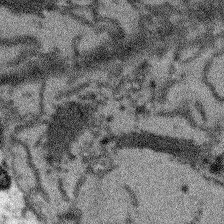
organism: Arabidopsis thaliana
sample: Root tip